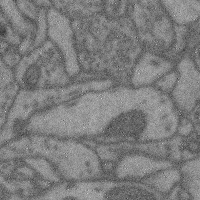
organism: Mouse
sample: Cerebral cortex